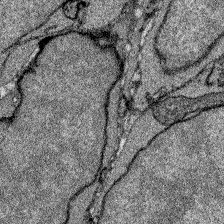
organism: Zebrafish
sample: Larval olfactory bulb